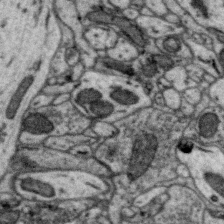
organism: Zebra finch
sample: Brain